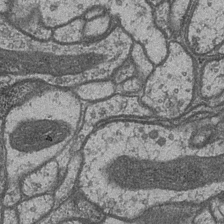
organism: Drosophila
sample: Optic medulla